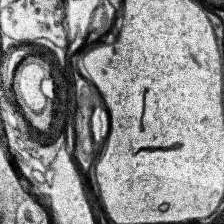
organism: Human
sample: Temporal Lobe